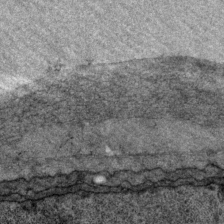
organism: P. pacificus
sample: Pharynx